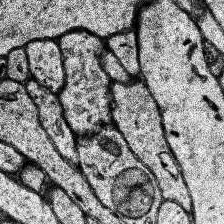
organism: Human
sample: Temporal Lobe